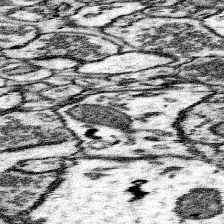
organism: Mouse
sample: Somatosensory cortex neuropil